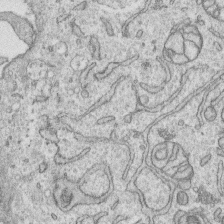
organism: Human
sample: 1205lu cells